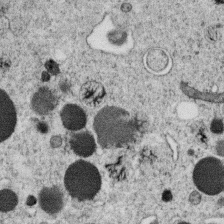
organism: C. elegans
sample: C. elegans oocyte; sperm cells